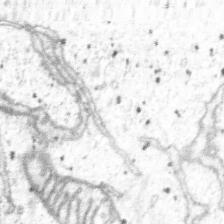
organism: Human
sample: HeLa cells